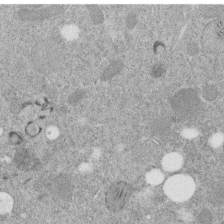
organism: C. elegans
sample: C. elegans embryo early stage